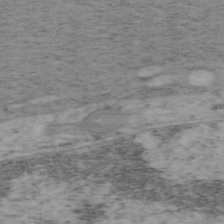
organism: Mouse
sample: OT-I killer T cells with ID8 ovarian cancer cells